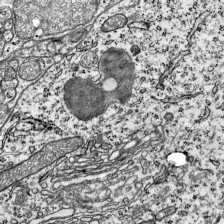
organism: Mouse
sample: Visual Cortex